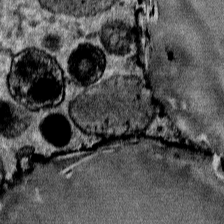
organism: Mouse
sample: Mouse Salivary gland